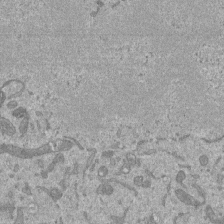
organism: Mouse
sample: ED-1 cell nuclei; centrioles